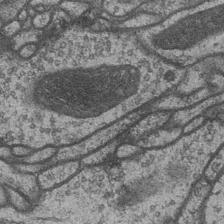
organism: Drosophila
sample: Optic medulla